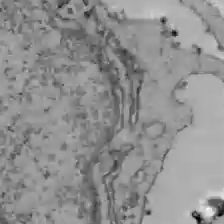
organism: C57BL Mouse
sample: Liver